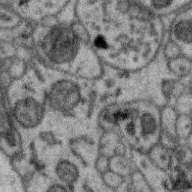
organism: Zebra finch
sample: Brain